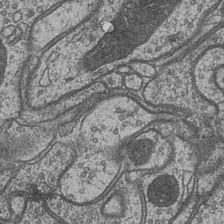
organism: Drosophila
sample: Optic medulla